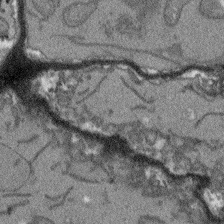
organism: Arabidopsis thaliana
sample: Root tip